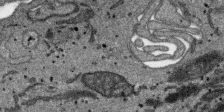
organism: Human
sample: Lung epithelial cells, uninfected (mock) control